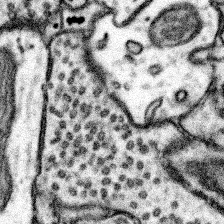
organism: Mouse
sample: Somatosensory cortex neuropil